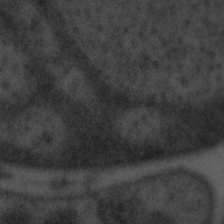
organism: Tuwongella immobilis